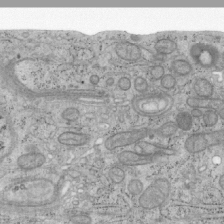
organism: Human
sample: HeLa cells